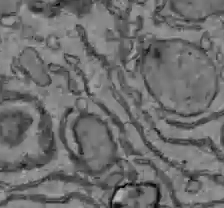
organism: C57BL Mouse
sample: Liver